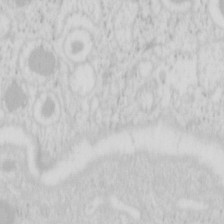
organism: Mouse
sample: Pancreas